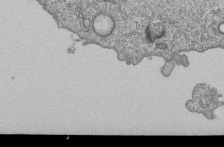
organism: Human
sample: MDA-MB-231 cells